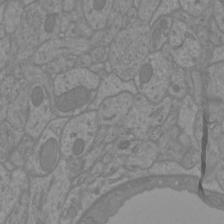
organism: Mouse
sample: Cortical neurons